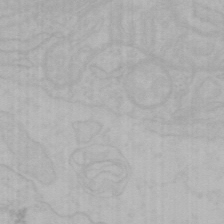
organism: Mouse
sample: Choroid plexus